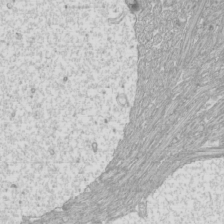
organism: Mouse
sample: Cilia; mouse epididymis